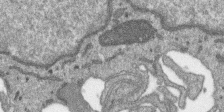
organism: Human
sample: Lung epithelial cells infected with SARS-CoV-2